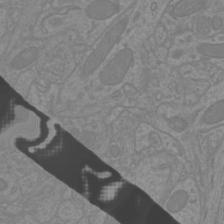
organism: Mouse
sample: Cortical neurons